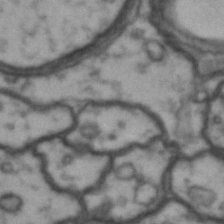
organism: Drosophila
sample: Brain